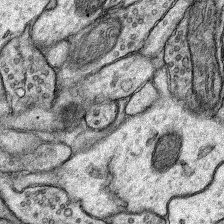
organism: Rat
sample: Hippocampus